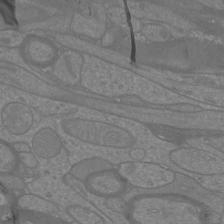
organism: Mouse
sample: Cortical neurons